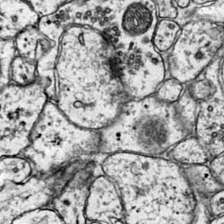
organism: Mouse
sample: Primary visual cortex